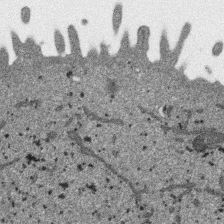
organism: Human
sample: Lung epithelial cells infected with SARS-CoV-2